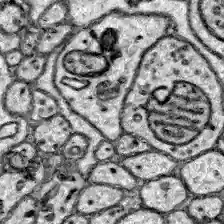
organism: Zebrafish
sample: Brain